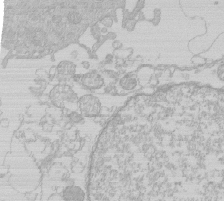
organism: Human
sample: Macrophage cells